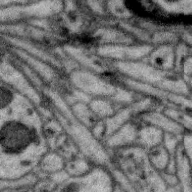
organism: Zebra finch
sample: Brain